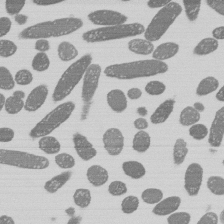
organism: E. coli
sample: Bacterial nucleoid